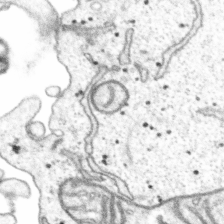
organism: Human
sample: HeLa cells